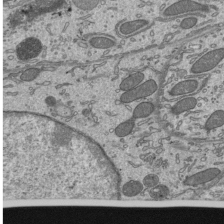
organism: Mouse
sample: Mouse epididymis efferent ductule cilia